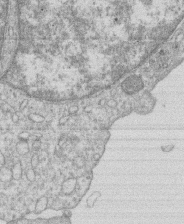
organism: Human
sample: Macrophage cells